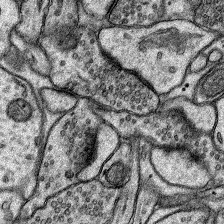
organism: Rat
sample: Hippocampus